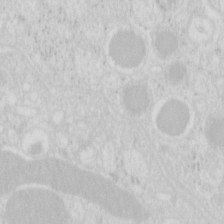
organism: Mouse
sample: Pancreas